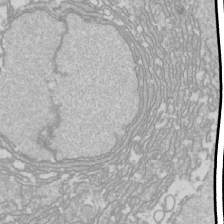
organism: Drosophila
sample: Cell division; meiosis; drosophila spermatocytes